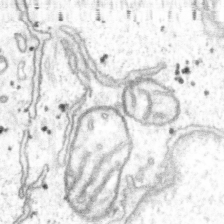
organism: Human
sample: HeLa cells